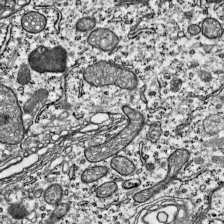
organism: Mouse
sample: Visual Cortex